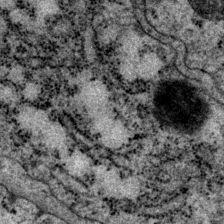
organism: P. pacificus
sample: Pharynx